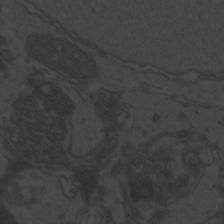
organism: Zebrafish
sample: Macrophage infected with Toxoplasma gondii